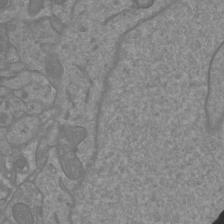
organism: Mouse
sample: Cortical neurons